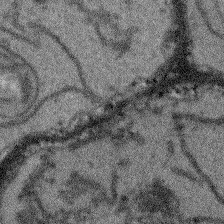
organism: Arabidopsis thaliana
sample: Root tip